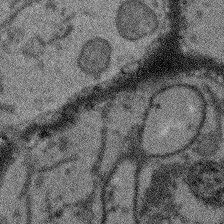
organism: Arabidopsis thaliana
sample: Root tip